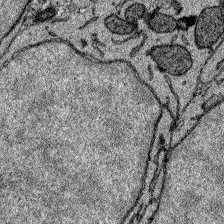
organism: Zebrafish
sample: Larval olfactory bulb